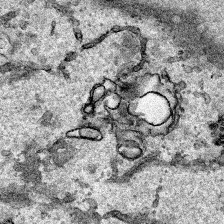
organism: Human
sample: Mitochondria in HCT116 cells